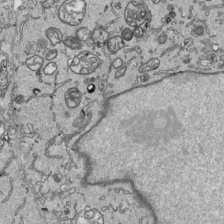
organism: Human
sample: Mitochondria in HCT116 cells